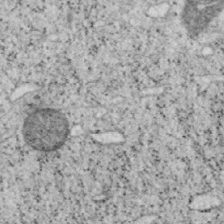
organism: Mouse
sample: OT-I killer T cells with ID8 ovarian cancer cells